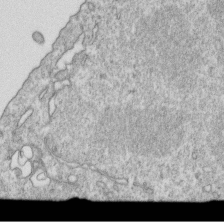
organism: Mouse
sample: Activated OT-1 CD8+ T cells